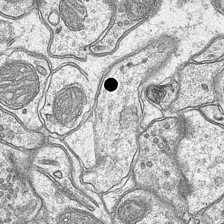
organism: Mouse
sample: CA1 Hippocampus